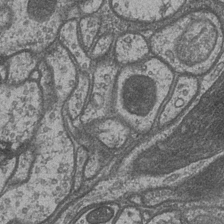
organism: Drosophila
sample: Optic medulla